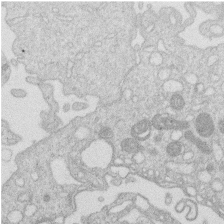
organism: Human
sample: Macrophage cells